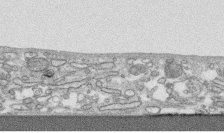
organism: Human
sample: CRL-1474